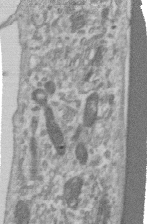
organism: Human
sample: Centriole in RPE cells